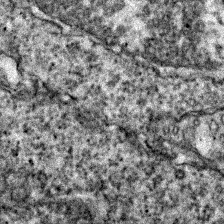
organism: Zebrafish